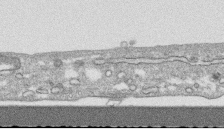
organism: Human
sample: CRL-1474